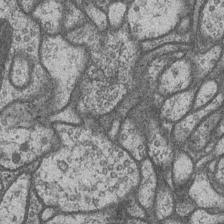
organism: Drosophila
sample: Optic medulla